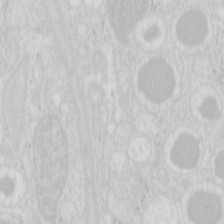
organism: Mouse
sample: Pancreas